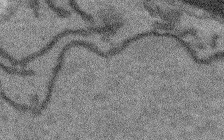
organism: Arabidopsis thaliana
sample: Root tip